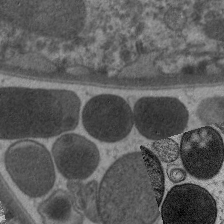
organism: C. elegans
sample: Pharynx